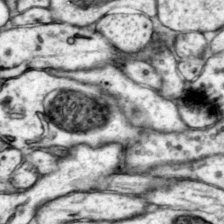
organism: Mouse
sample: Primary visual cortex